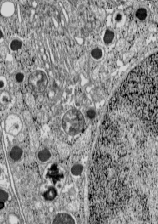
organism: C57BL Mouse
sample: Pancreatic islet